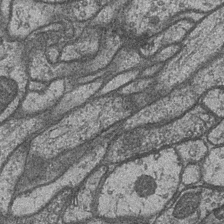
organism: Drosophila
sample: Optic medulla